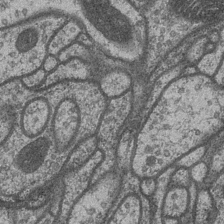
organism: Drosophila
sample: Optic medulla